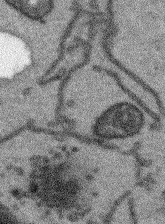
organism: Arabidopsis thaliana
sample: Root tip